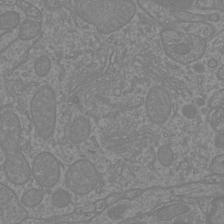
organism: Mouse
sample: Cortical neurons